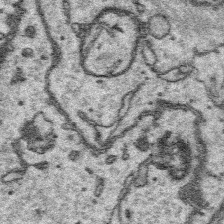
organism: Platynereis dumerilii